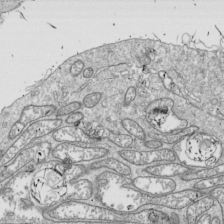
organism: Drosophila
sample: Cell division; meiosis; drosophila spermatocytes